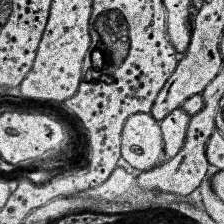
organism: Human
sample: Temporal Lobe